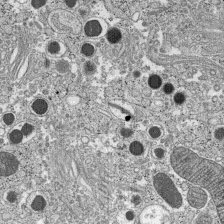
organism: C57BL Mouse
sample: Pancreatic islet